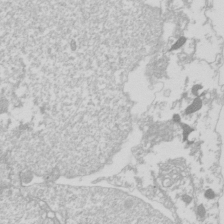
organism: Drosophila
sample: Cell division; meiosis; drosophila spermatocytes